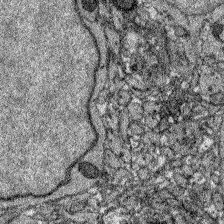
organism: Zebrafish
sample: Larval olfactory bulb